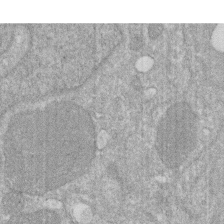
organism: Human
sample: HIV infected U937 cells